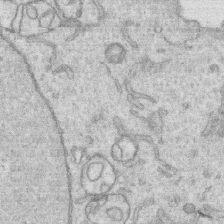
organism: Human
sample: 1205lu cells